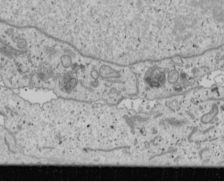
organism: Human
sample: Mitochondria in U2OS cells